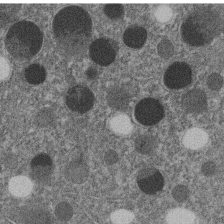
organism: C. elegans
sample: C. elegans embryo early stage